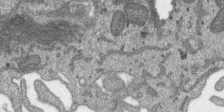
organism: Human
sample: Lung epithelial cells infected with SARS-CoV-2